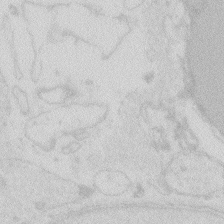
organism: Zebrafish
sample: Macrophage